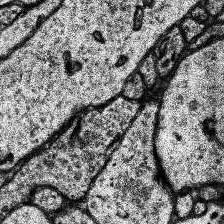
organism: Human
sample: Temporal Lobe